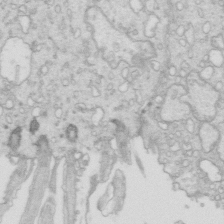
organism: Mouse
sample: Multiciliated cells